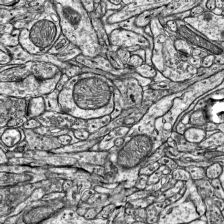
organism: Mouse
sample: Visual Cortex